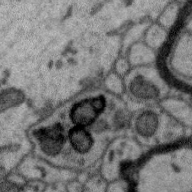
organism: Zebra finch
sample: Brain